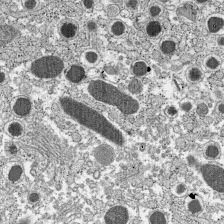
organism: C57BL Mouse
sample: Pancreatic islet